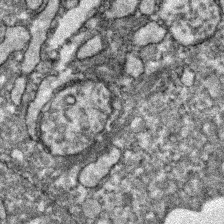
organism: Zebrafish